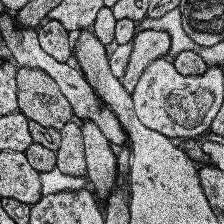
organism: Human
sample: Temporal Lobe